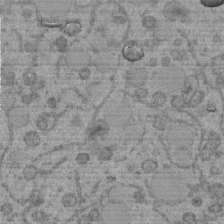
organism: C. elegans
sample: C. elegans embryo early stage